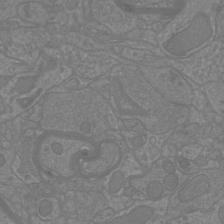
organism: Mouse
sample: Cortical neurons